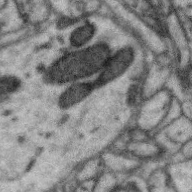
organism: Zebra finch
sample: Brain